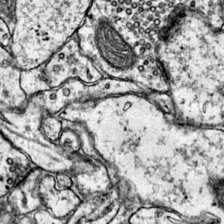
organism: Mouse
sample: Primary visual cortex